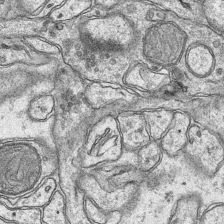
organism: Mouse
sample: CA1 Hippocampus